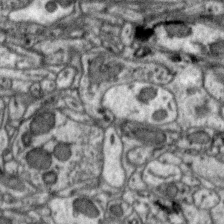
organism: Zebra finch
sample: Brain